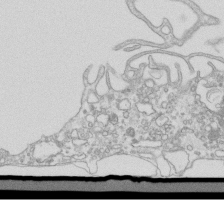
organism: Mouse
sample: Macrophages